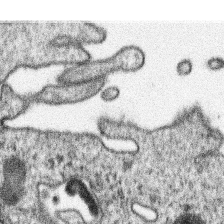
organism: Human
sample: HeLa cells